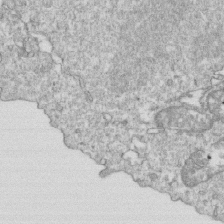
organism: Mouse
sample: Activated OT-1 CD8+ T cells